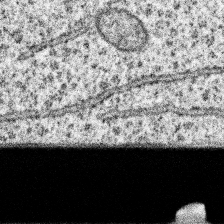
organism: Human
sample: HeLa cells